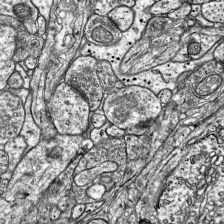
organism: Mouse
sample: Visual Cortex